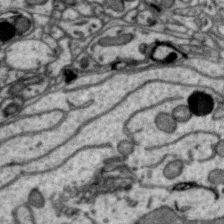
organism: Zebra finch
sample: Brain